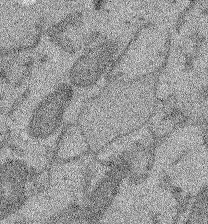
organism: Human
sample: HeLa cells